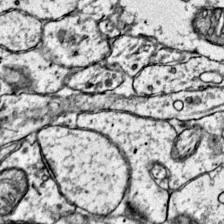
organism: Mouse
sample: Primary visual cortex